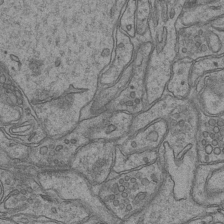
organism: Mouse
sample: CA1 Hippocampus